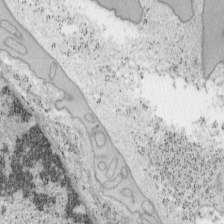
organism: Mouse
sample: OT-I killer T cells with ID8 ovarian cancer cells